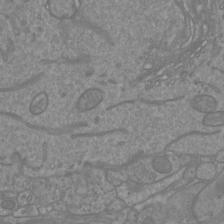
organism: Mouse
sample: Cortical neurons